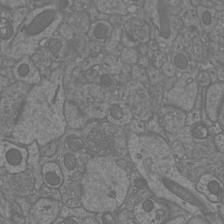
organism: Mouse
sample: Cortical neurons